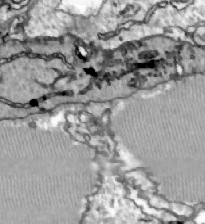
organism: Zebrafish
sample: Actinotrichia fibers